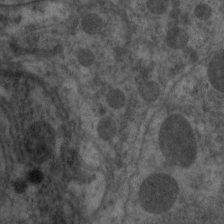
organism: C. elegans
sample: Pharynx